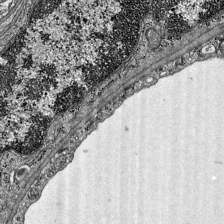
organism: Mouse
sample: Visual Cortex